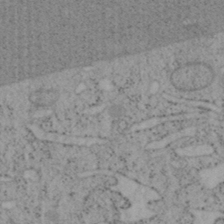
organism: Mouse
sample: OT-I killer T cells with ID8 ovarian cancer cells